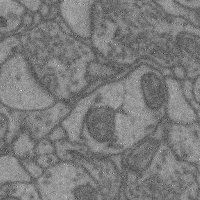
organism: Mouse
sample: Cerebral cortex